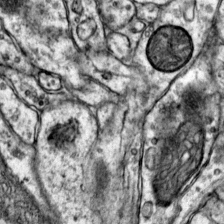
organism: Mouse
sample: Primary visual cortex